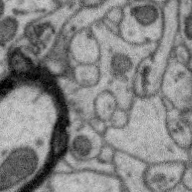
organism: Zebra finch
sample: Brain